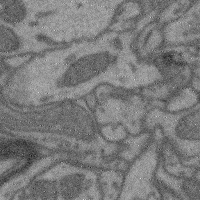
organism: Mouse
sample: Cerebral cortex